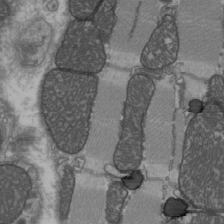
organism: C57BL Mouse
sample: Heart